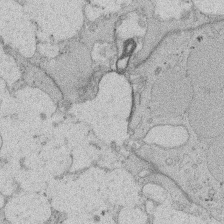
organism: Rat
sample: Salivary granule